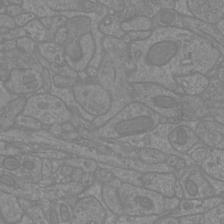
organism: Mouse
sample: Cortical neurons